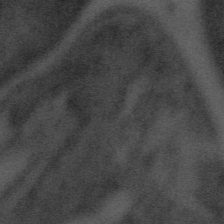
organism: Tuwongella immobilis